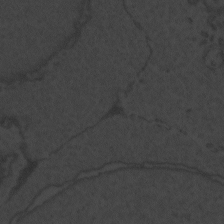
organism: Zebrafish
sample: Macrophage infected with Toxoplasma gondii